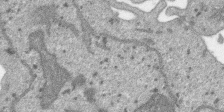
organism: Human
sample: Lung epithelial cells infected with SARS-CoV-2